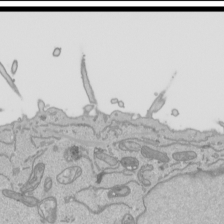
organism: Human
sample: Mitochondria in HCT116 cells